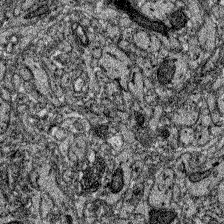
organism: Zebrafish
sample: Larval olfactory bulb